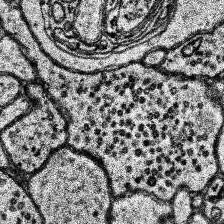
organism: Human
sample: Temporal Lobe